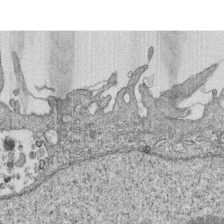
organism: Human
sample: HeLa cell HIV synapse